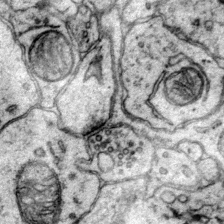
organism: Mouse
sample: Primary visual cortex